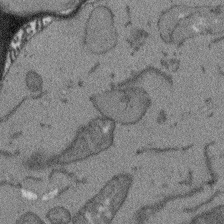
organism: Arabidopsis thaliana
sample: Root tip